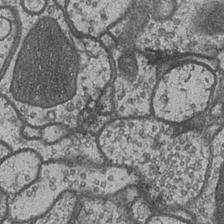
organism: Drosophila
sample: Optic medulla